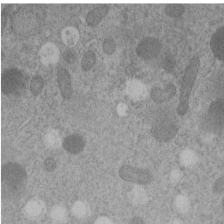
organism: C. elegans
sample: C. elegans embryo early stage